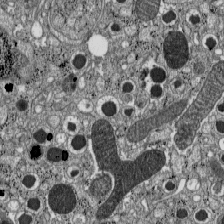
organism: C57BL Mouse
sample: Pancreatic islet